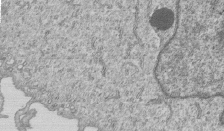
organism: Human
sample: MDA-MB-231 cells